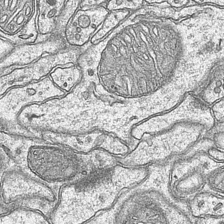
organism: Mouse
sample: CA1 Hippocampus